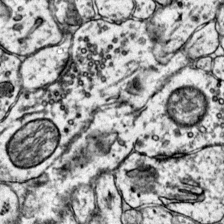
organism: Mouse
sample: Primary visual cortex